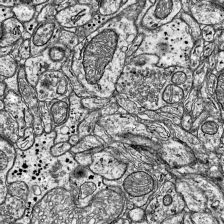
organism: Mouse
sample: Visual Cortex